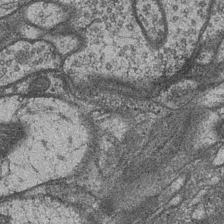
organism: Drosophila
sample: Optic medulla